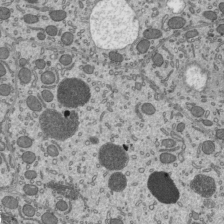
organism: Mouse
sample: Mouse epididymis efferent ductule cilia